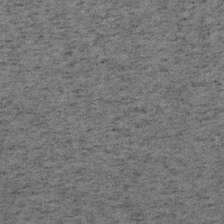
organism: Mouse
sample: OT-I killer T cells with ID8 ovarian cancer cells